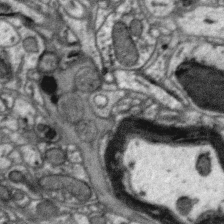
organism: Zebra finch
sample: Brain